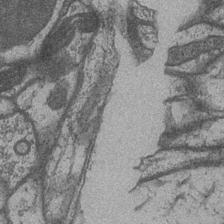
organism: Drosophila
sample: Optic medulla